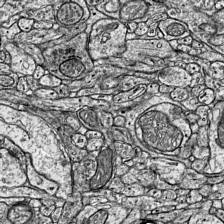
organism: Mouse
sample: Visual Cortex